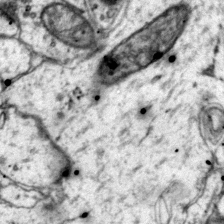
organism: Mouse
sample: Primary visual cortex